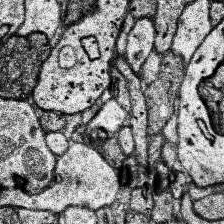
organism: Human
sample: Temporal Lobe